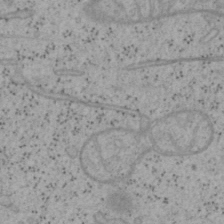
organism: Human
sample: HeLa cells